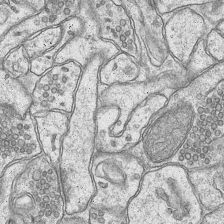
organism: Mouse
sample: CA1 Hippocampus